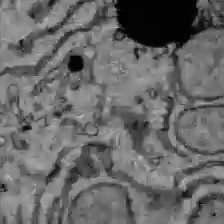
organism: C57BL Mouse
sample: Liver